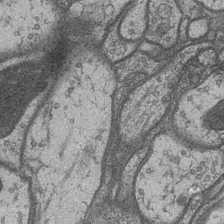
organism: Drosophila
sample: Optic medulla